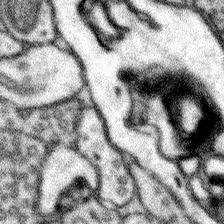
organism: Mouse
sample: Somatosensory cortex neuropil